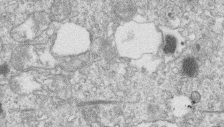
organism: Human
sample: HeLa cell HIV synapse